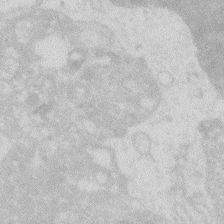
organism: Zebrafish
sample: Macrophage